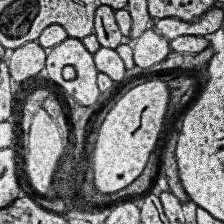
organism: Human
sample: Temporal Lobe